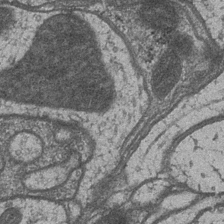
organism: Drosophila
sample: Optic medulla